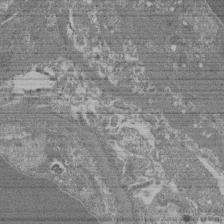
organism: Mouse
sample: Glomerulus